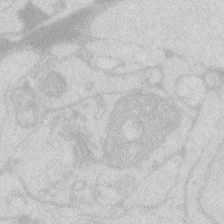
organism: Zebrafish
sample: Macrophage